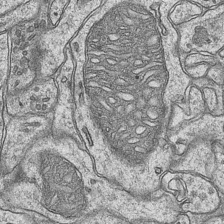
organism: Mouse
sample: CA1 Hippocampus